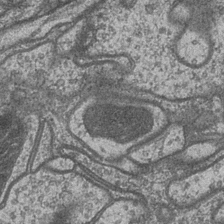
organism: Drosophila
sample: Optic medulla